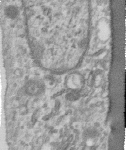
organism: Human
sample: Centriole in RPE cells